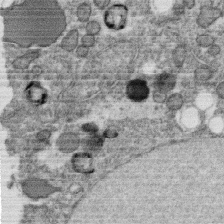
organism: C. elegans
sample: C. elegans oocyte; sperm cells